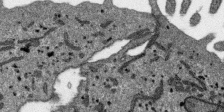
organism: Human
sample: Lung epithelial cells, uninfected (mock) control